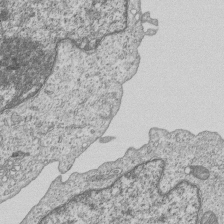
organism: Human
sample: MDA-MB-231 cells